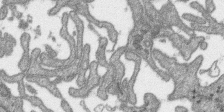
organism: Human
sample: Lung epithelial cells infected with SARS-CoV-2